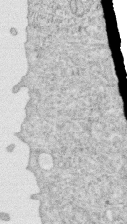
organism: Human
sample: HeLa cell HIV synapse